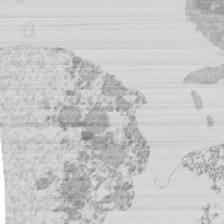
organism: Mouse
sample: Activated Pmel transgenic CD8+ T Cells